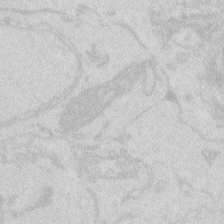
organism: Zebrafish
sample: Macrophage